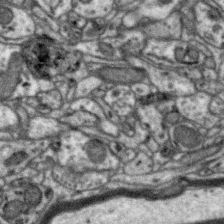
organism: Zebra finch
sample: Brain